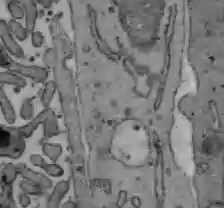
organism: C57BL Mouse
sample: Liver